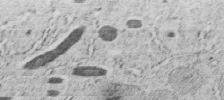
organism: C. elegans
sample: C. elegans embryo early stage